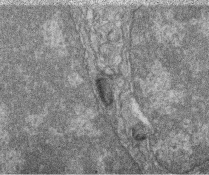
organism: Zebrafish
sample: Cilia; retinal pigment epithelium